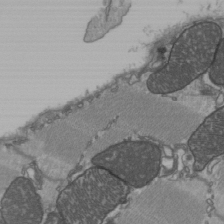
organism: C57BL Mouse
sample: Heart